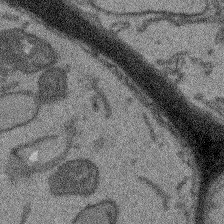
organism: Arabidopsis thaliana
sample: Root tip